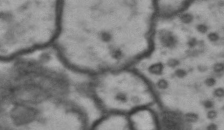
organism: Drosophila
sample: Brain